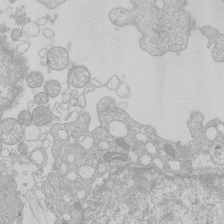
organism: Human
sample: Macrophage cells